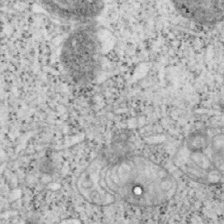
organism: Mouse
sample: OT-I killer T cells with ID8 ovarian cancer cells